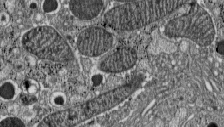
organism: C57BL Mouse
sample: Pancreatic islet